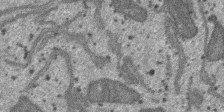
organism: Human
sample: Lung epithelial cells infected with SARS-CoV-2